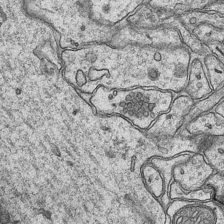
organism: Mouse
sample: CA1 Hippocampus